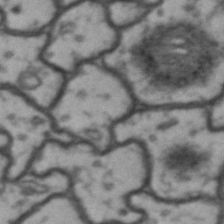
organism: Drosophila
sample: Brain